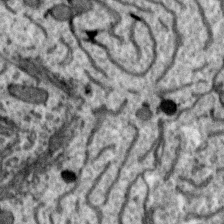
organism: Zebra finch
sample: Brain